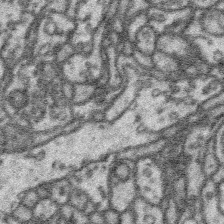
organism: Platynereis dumerilii